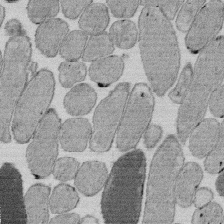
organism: E. coli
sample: Bacterial nucleoid